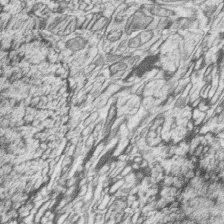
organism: Zebrafish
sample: synaptic ribbons in rod cells and cone cells